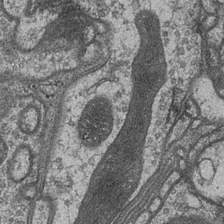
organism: Drosophila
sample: Optic medulla